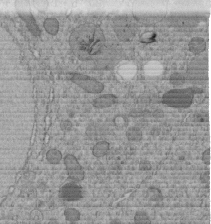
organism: C. elegans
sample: C. elegans embryo early stage